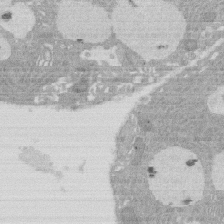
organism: Rat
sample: Salivary granule